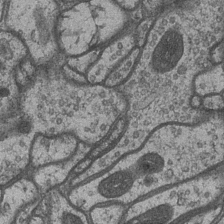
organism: Drosophila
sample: Optic medulla